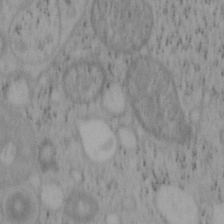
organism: Mouse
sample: OT-I killer T cells with ID8 ovarian cancer cells